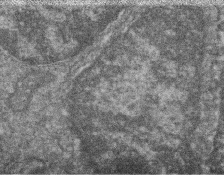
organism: Zebrafish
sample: Cilia; retinal pigment epithelium